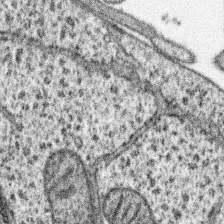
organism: Human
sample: HeLa cells